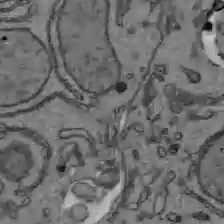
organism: C57BL Mouse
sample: Liver